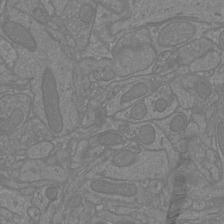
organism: Mouse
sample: Cortical neurons